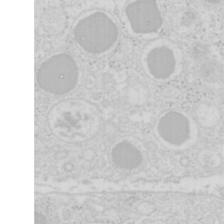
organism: Mouse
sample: Pancreas